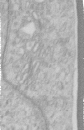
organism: Human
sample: Centriole in RPE cells